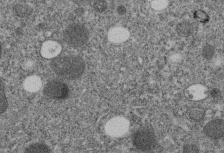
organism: C. elegans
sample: C. elegans embryo early stage